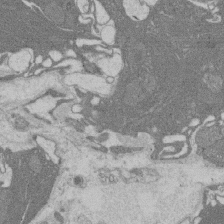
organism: Rat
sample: Salivary granule